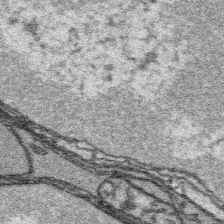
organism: Platynereis dumerilii